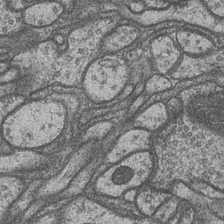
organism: Drosophila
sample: Optic medulla